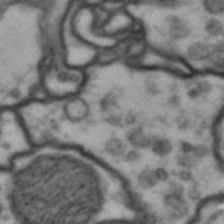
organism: Drosophila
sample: Brain